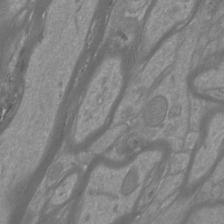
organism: Mouse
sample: Cortical neurons